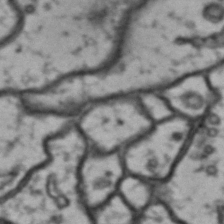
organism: Drosophila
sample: Brain